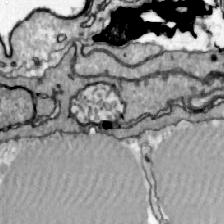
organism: Zebrafish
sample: Actinotrichia fibers